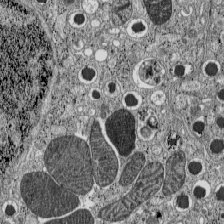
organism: C57BL Mouse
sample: Pancreatic islet